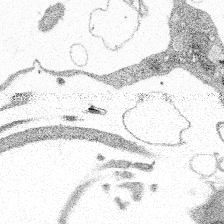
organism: Spongilla lacustris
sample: Multiple